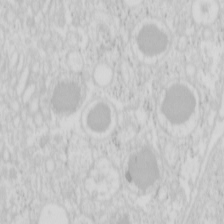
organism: Mouse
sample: Pancreas